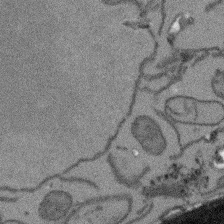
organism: Arabidopsis thaliana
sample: Root tip